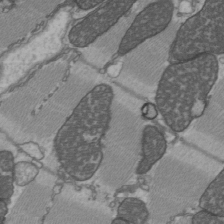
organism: C57BL Mouse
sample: Heart